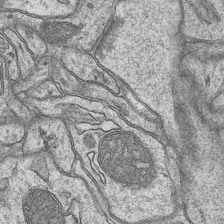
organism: Mouse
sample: CA1 Hippocampus